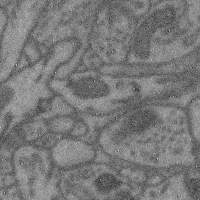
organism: Mouse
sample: Cerebral cortex